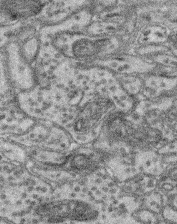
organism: Mouse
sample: Retina